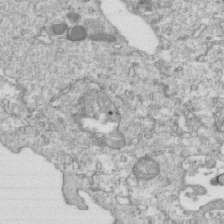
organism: Mouse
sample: Activated OT-1 CD8+ T cells